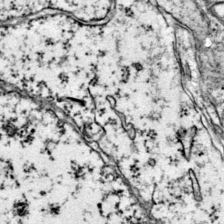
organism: Mouse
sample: Primary visual cortex